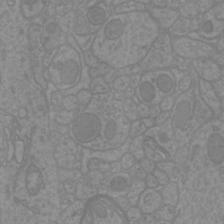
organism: Mouse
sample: Cortical neurons